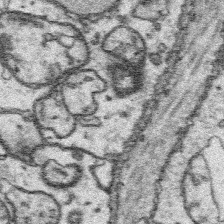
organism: Platynereis dumerilii